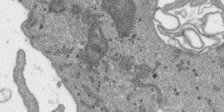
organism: Human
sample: Lung epithelial cells infected with SARS-CoV-2